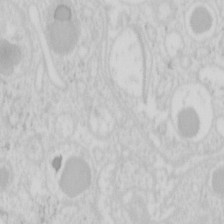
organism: Mouse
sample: Pancreas